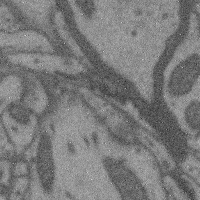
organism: Mouse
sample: Cerebral cortex